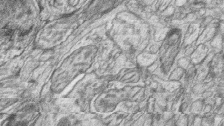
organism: Zebrafish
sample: synaptic ribbons in rod cells and cone cells